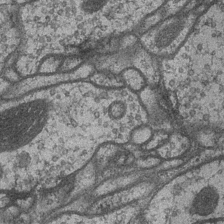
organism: Drosophila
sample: Optic medulla